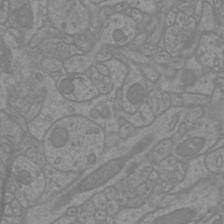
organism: Mouse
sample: Cortical neurons